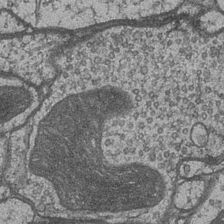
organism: Drosophila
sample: Optic medulla